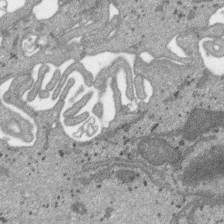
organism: Human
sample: Lung epithelial cells infected with SARS-CoV-2